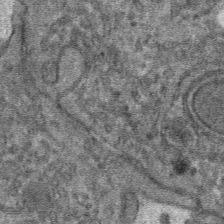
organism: Mouse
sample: Mouse hepatocytes